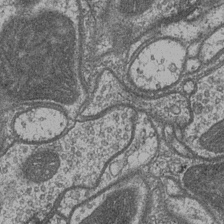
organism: Drosophila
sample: Optic medulla